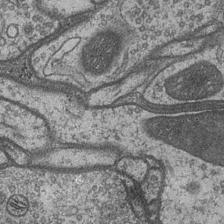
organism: Drosophila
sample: Optic medulla